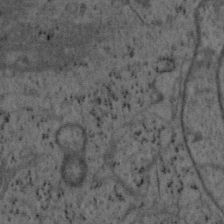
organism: Human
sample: HeLa cells